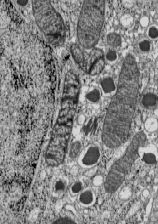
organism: C57BL Mouse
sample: Pancreatic islet